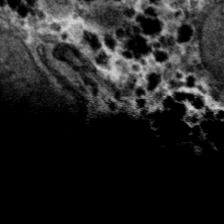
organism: Mouse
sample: Mouse hepatocytes